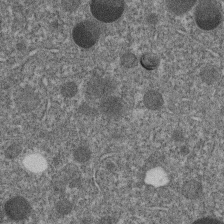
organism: C. elegans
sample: C. elegans embryo early stage